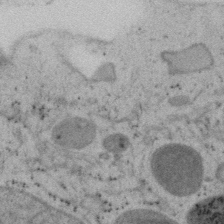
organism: Human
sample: HeLa cells